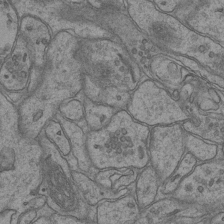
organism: Mouse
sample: CA1 Hippocampus